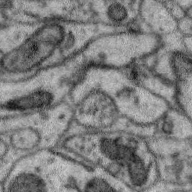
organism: Zebra finch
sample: Brain